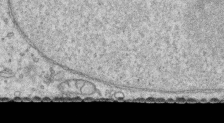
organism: Human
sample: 1205lu cells